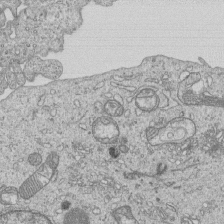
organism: Human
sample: MDA-MB-231 cells